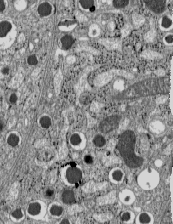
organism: C57BL Mouse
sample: Pancreatic islet